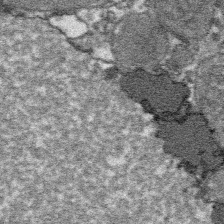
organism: Platynereis dumerilii